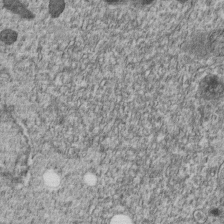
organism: C. elegans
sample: C. elegans embryo early stage